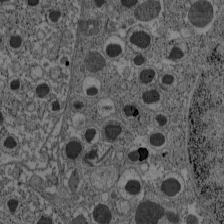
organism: C57BL Mouse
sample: Pancreatic islet